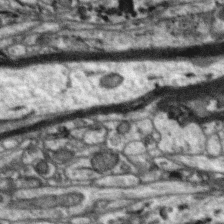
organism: Zebra finch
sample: Brain